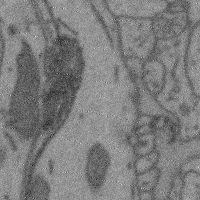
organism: Mouse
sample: Cerebral cortex